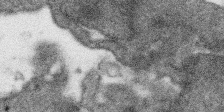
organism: Human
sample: Lung epithelial cells infected with SARS-CoV-2